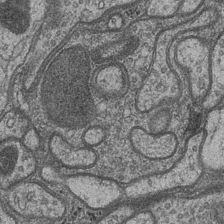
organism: Drosophila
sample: Optic medulla